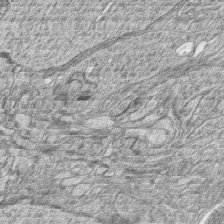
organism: Zebrafish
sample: synaptic ribbons in rod cells and cone cells